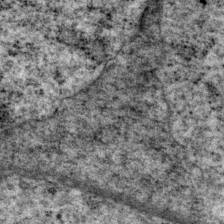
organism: P. pacificus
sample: Pharynx